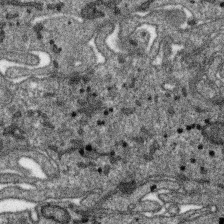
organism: Human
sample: Lung epithelial cells infected with SARS-CoV-2